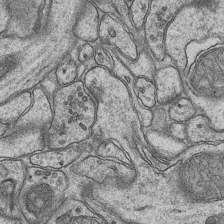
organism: Mouse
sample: CA1 Hippocampus